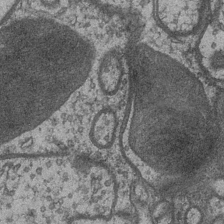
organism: Drosophila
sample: Optic medulla